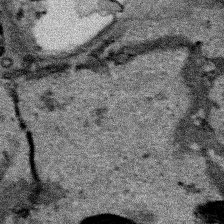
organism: Human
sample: Mitochondria in HCT116 cells